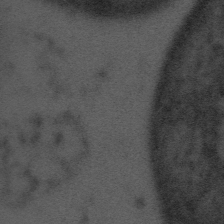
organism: Tuwongella immobilis